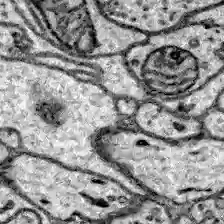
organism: Zebrafish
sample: Brain